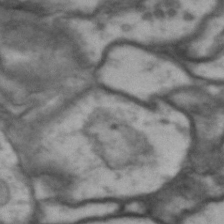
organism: Drosophila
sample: Brain